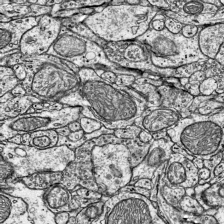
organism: Mouse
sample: Visual Cortex